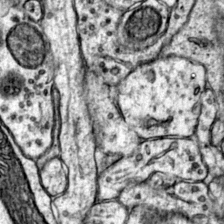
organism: Mouse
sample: Primary visual cortex